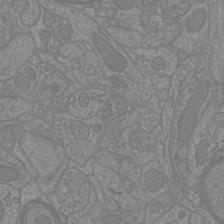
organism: Mouse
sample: Cortical neurons